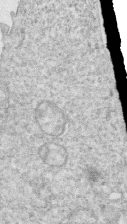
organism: Human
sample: HeLa cell HIV synapse